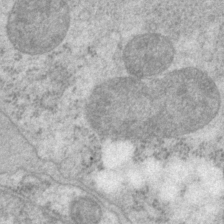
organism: P. pacificus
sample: Pharynx